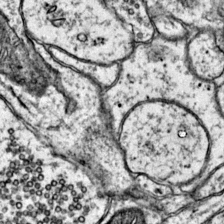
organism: Mouse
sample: Primary visual cortex